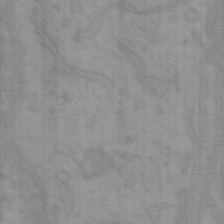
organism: Mouse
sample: Choroid plexus